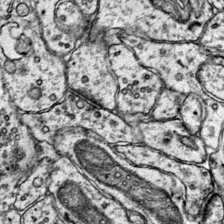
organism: Mouse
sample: Primary visual cortex